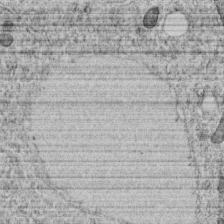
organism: C. elegans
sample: C. elegans embryo early stage